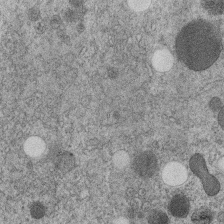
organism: C. elegans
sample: C. elegans embryo early stage